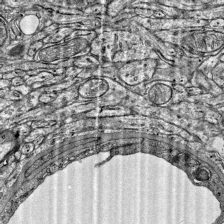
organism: Mouse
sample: Visual Cortex